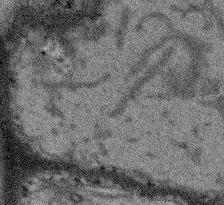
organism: Arabidopsis thaliana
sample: Root tip